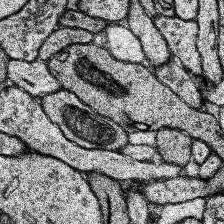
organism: Human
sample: Temporal Lobe